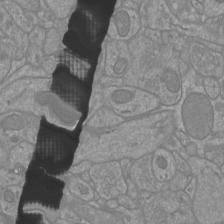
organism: Mouse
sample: Cortical neurons